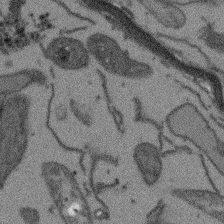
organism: Arabidopsis thaliana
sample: Root tip